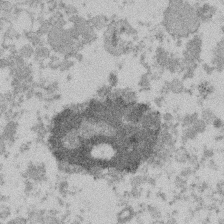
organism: Mouse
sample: Dividing mouse embryo 1 cell stage